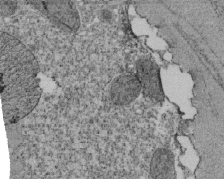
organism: Tetrahymena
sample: Cilia in tetrahymena